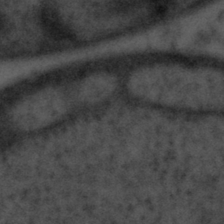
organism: Tuwongella immobilis